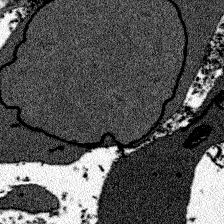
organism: Zebrafish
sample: Larval olfactory bulb